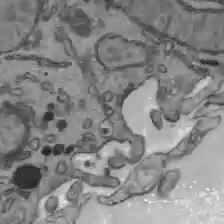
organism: C57BL Mouse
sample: Liver